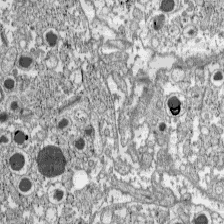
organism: C57BL Mouse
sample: Pancreatic islet